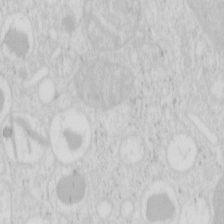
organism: Mouse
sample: Pancreas